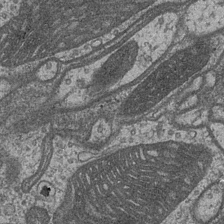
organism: Drosophila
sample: Optic medulla